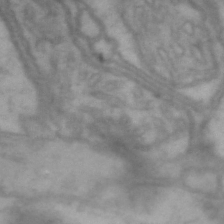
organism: Drosophila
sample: Brain